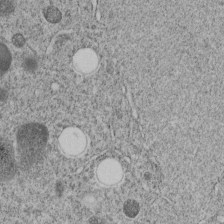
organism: C. elegans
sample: C. elegans embryo early stage